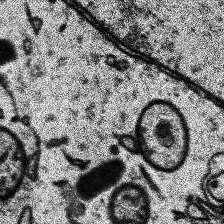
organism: Human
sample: Temporal Lobe